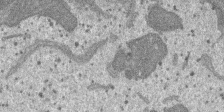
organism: Human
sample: Lung epithelial cells infected with SARS-CoV-2